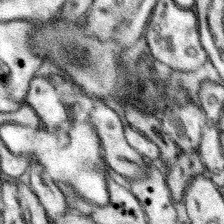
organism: Mouse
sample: Somatosensory cortex neuropil